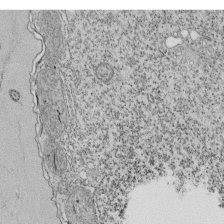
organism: Tetrahymena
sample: Cilia in tetrahymena